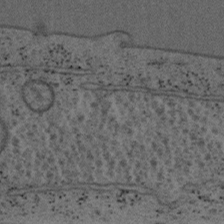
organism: Human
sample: HeLa cells